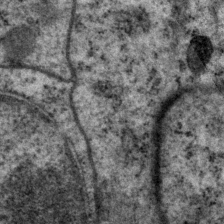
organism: P. pacificus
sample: Pharynx